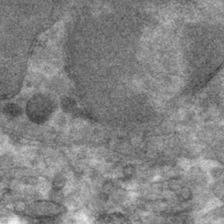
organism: Mouse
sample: Mouse hepatocytes